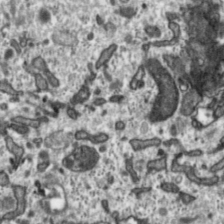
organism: Toxoplasma gondii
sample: Parasites in a vacuole inside a host cell